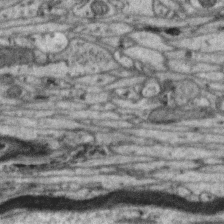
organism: Zebra finch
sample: Brain